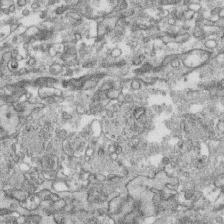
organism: Human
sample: CRL-1474